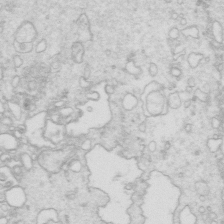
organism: Mouse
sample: Multiciliated cells